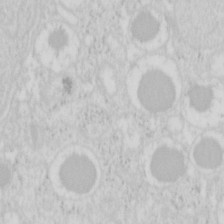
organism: Mouse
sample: Pancreas